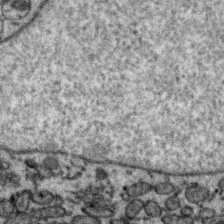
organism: Zebra finch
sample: Brain